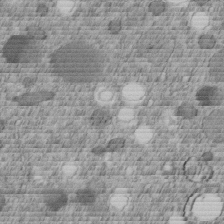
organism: C. elegans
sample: C. elegans embryo early stage